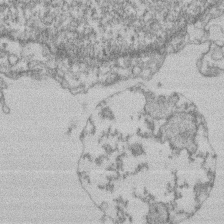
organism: Mouse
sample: T cell stromal cell synapse